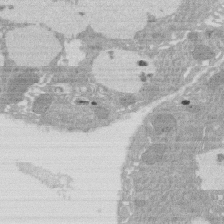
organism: Rat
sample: Salivary granule